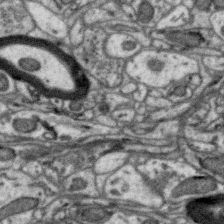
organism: Zebra finch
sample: Brain